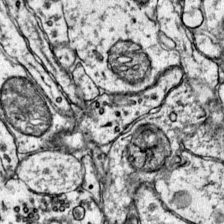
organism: Mouse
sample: Primary visual cortex